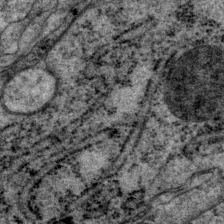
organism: P. pacificus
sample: Pharynx